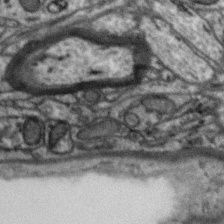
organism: Zebra finch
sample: Brain